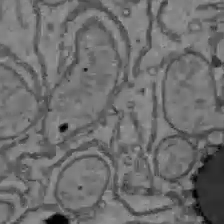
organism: C57BL Mouse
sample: Liver